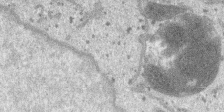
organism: Human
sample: Lung epithelial cells infected with SARS-CoV-2